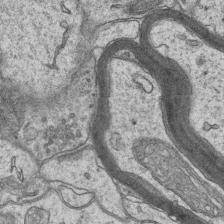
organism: Mouse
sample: CA1 Hippocampus